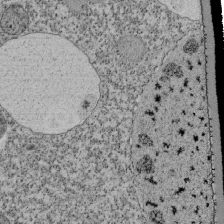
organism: Tetrahymena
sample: Cilia in tetrahymena